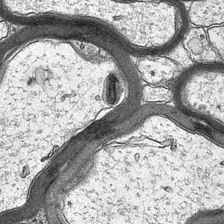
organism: Mouse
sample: CA1 Hippocampus